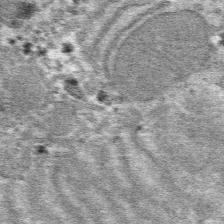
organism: Mouse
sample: Mouse hepatocytes